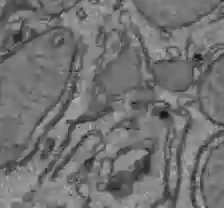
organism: C57BL Mouse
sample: Liver